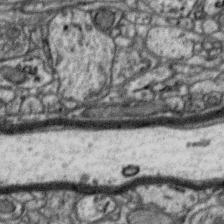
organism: Zebra finch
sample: Brain